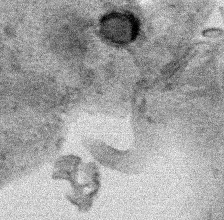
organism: Human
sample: Mitochondria in HCT116 cells